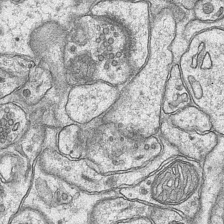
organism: Mouse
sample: CA1 Hippocampus